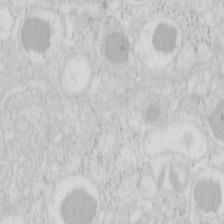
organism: Mouse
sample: Pancreas